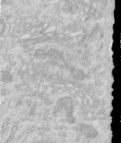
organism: Human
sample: Centriole in RPE cells